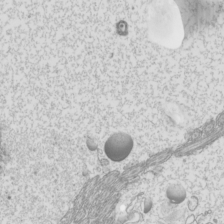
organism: Mouse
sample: Cilia; mouse epididymis